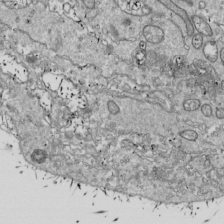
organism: Drosophila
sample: Cell division; meiosis; drosophila spermatocytes